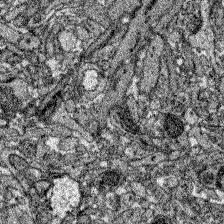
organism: Zebrafish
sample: Larval olfactory bulb